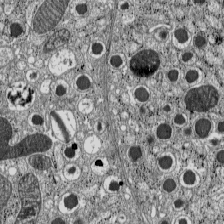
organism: C57BL Mouse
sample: Pancreatic islet